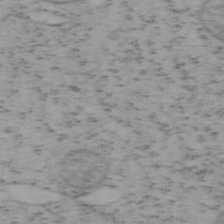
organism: Mouse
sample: OT-I killer T cells with ID8 ovarian cancer cells